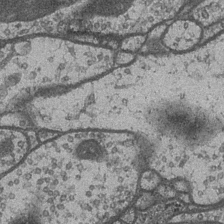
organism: Drosophila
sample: Optic medulla